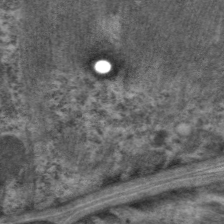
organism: C. elegans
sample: Pharynx